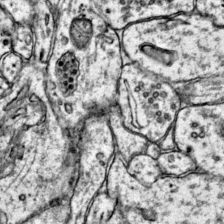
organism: Mouse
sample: Primary visual cortex